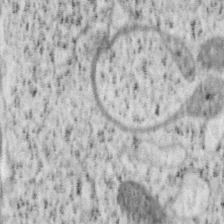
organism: Mouse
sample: OT-I killer T cells with ID8 ovarian cancer cells